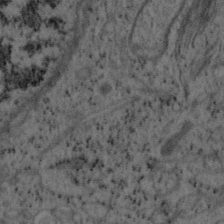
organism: Human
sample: HeLa cells